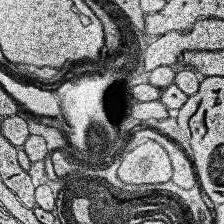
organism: Human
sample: Temporal Lobe